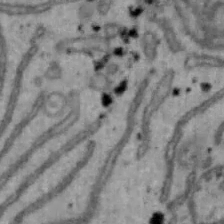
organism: Mouse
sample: Liver